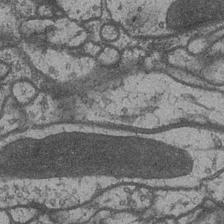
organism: Drosophila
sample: Optic medulla